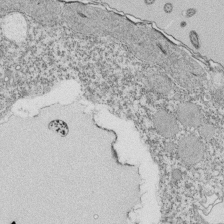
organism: Tetrahymena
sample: Cilia in tetrahymena